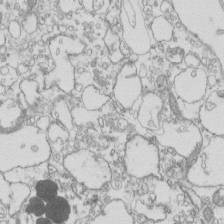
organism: Mouse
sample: Macrophages